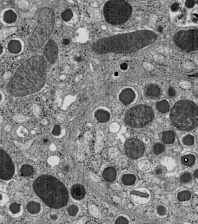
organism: C57BL Mouse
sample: Pancreatic islet